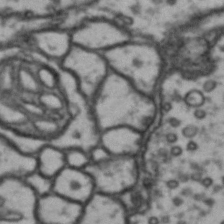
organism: Drosophila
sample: Brain